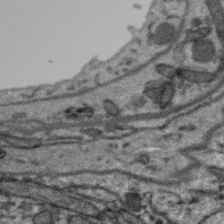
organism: Zebra finch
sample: Brain